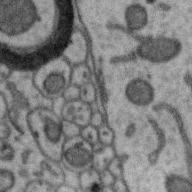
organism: Zebra finch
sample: Brain